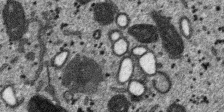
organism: Human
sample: Lung epithelial cells infected with SARS-CoV-2